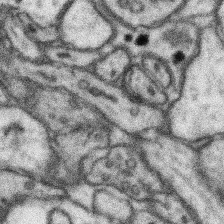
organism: Mouse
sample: Somatosensory cortex neuropil